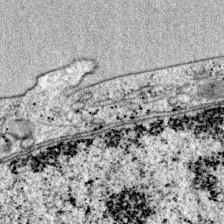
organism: Human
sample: HeLa cells